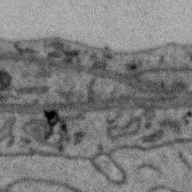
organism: Zebra finch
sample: Brain